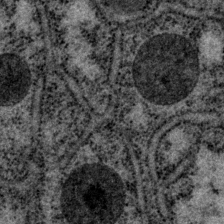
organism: P. pacificus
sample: Pharynx